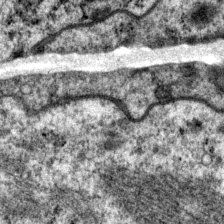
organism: P. pacificus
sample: Pharynx